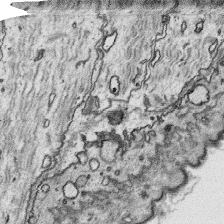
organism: Platynereis dumerilii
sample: Parapodia